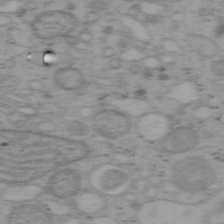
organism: Mouse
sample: OT-I killer T cells with ID8 ovarian cancer cells